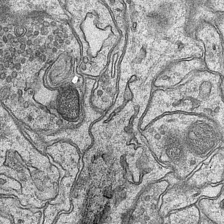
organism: Mouse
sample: CA1 Hippocampus